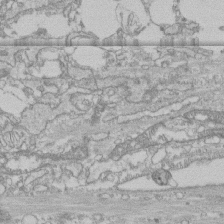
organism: Human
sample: CRL-1474